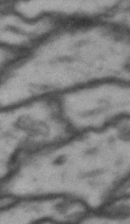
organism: Drosophila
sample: Brain